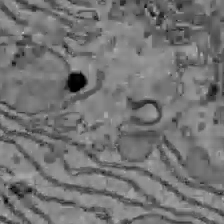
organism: C57BL Mouse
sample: Liver